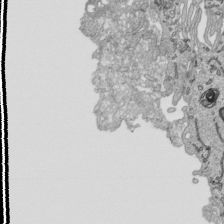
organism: Human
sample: Mitochondria in HCT116 cells